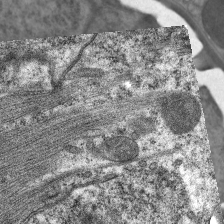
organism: C. elegans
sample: Pharynx